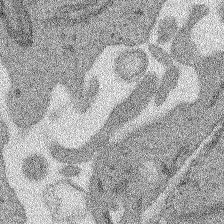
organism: Human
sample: HeLa cells